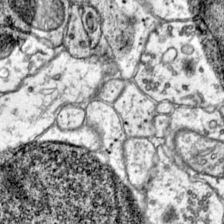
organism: Mouse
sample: Primary visual cortex